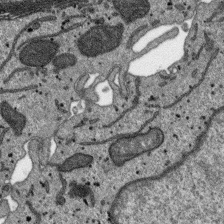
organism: Human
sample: Lung epithelial cells, uninfected (mock) control